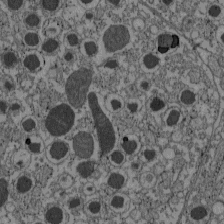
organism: C57BL Mouse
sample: Pancreatic islet